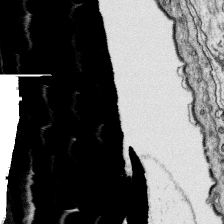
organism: Platynereis dumerilii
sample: Parapodia